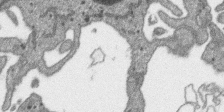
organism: Human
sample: Lung epithelial cells infected with SARS-CoV-2